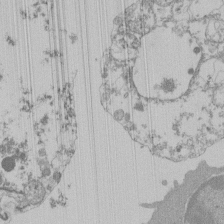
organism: Mouse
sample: Activated Pmel transgenic CD8+ T Cells